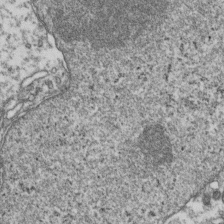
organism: Human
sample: Activated Jurkat CD4+ T cells